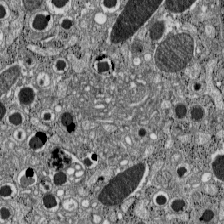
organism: C57BL Mouse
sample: Pancreatic islet